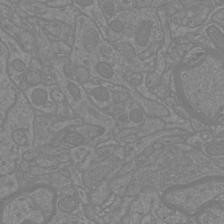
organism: Mouse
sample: Cortical neurons